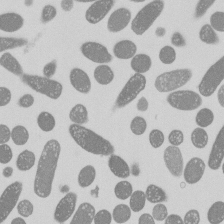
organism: E. coli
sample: Bacterial nucleoid